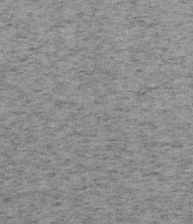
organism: Mouse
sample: OT-I killer T cells with ID8 ovarian cancer cells